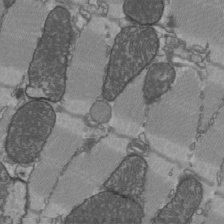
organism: C57BL Mouse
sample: Heart